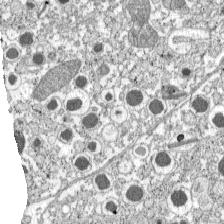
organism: C57BL Mouse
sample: Pancreatic islet